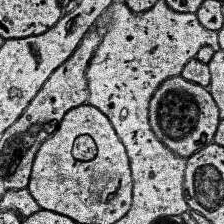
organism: Human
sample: Temporal Lobe